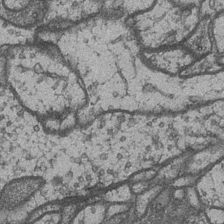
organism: Drosophila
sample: Optic medulla